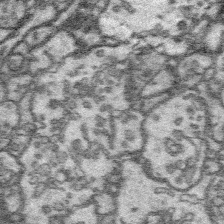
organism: Platynereis dumerilii